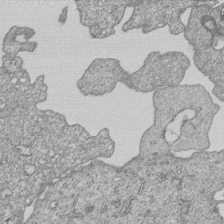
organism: Human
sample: MDA-MB-231 cells